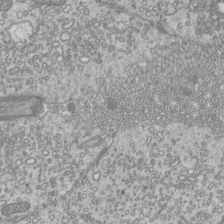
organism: Mouse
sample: Cilia; mouse epididymis